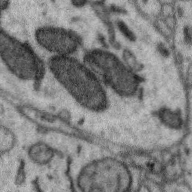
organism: Zebra finch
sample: Brain